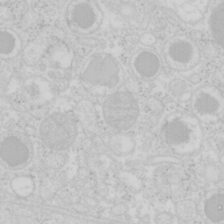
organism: Mouse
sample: Pancreas